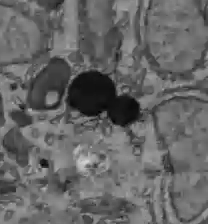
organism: C57BL Mouse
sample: Liver